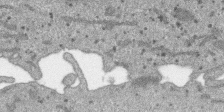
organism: Human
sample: Lung epithelial cells infected with SARS-CoV-2